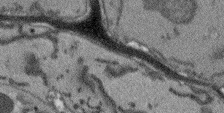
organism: Arabidopsis thaliana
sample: Root tip